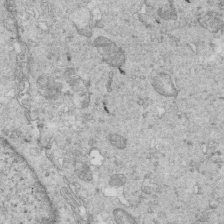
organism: Mouse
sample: Multiciliated cells